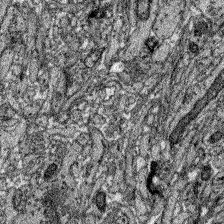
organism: Zebrafish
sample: Larval olfactory bulb